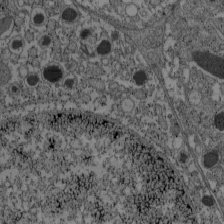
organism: C57BL Mouse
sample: Pancreatic islet